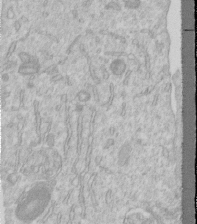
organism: Human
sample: Centriole in RPE cells